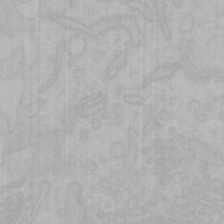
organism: Mouse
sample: Choroid plexus